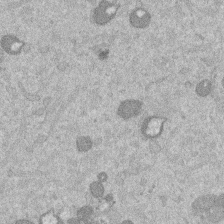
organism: Mouse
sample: Dividing mouse embryo 1 cell stage